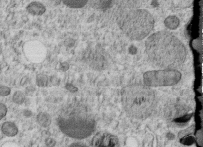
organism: C. elegans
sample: C. elegans embryo early stage